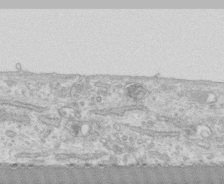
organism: Human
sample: CRL-1474